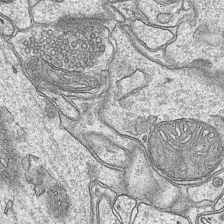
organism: Mouse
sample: CA1 Hippocampus